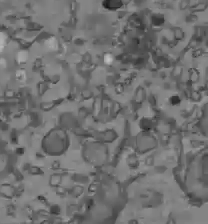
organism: C57BL Mouse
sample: Liver